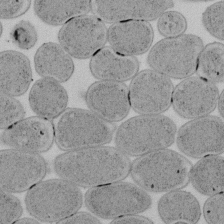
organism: E. coli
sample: Bacterial nucleoid